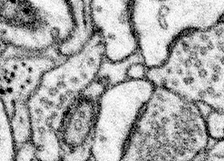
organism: Mouse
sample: Somatosensory cortex neuropil